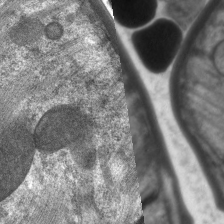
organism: C. elegans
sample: Pharynx